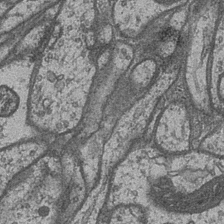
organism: Drosophila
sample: Optic medulla